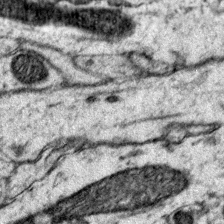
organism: Mouse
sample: Primary visual cortex